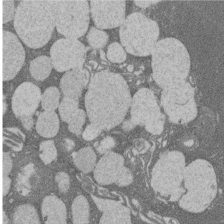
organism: Rat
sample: Salivary granule